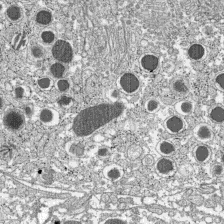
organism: C57BL Mouse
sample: Pancreatic islet